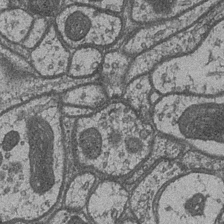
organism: Drosophila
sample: Optic medulla